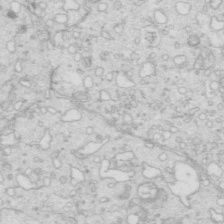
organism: Mouse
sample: Multiciliated cells